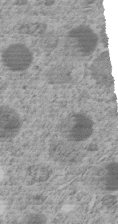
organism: C. elegans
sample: C. elegans embryo early stage